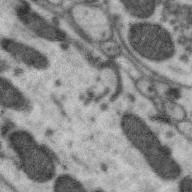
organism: Zebra finch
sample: Brain